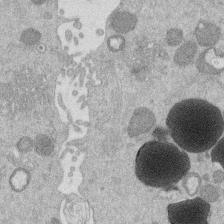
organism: Mouse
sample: Dividing mouse embryo 1 cell stage